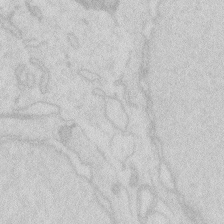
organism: Zebrafish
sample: Macrophage